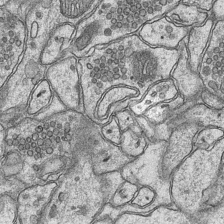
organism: Mouse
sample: CA1 Hippocampus